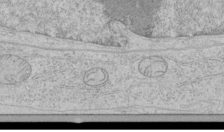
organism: Human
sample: Mitochondria in HCT116 cells